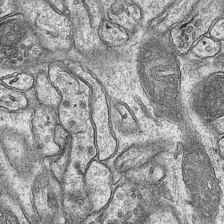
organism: Mouse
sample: CA1 Hippocampus